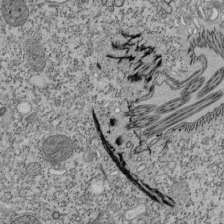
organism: Tetrahymena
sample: Cilia in tetrahymena